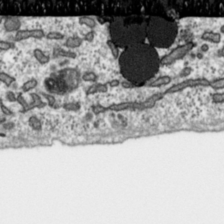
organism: Toxoplasma gondii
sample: Parasites in a vacuole inside a host cell